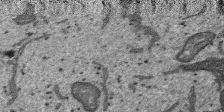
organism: Human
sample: Lung epithelial cells infected with SARS-CoV-2